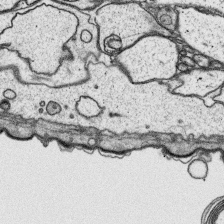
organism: Platynereis dumerilii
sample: Parapodia